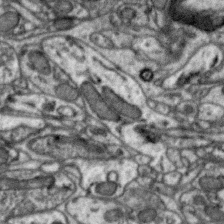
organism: Zebra finch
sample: Brain